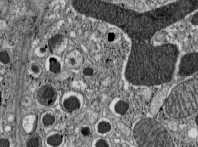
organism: C57BL Mouse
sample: Pancreatic islet